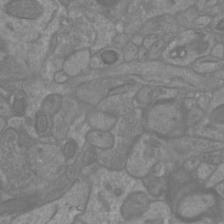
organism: Mouse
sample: Cortical neurons